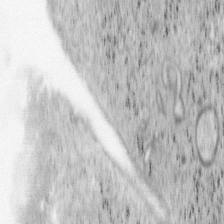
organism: Human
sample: HeLa cells